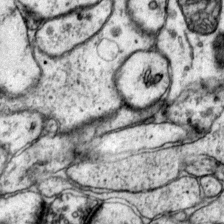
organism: Mouse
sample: Primary visual cortex